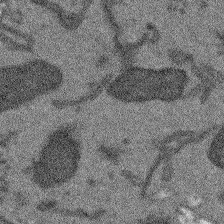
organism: Arabidopsis thaliana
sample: Root tip